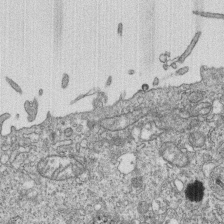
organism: Human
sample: HeLa cell HIV synapse